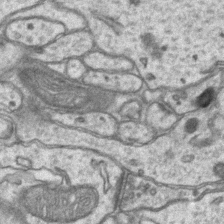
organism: Mouse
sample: CA1 Hippocampus